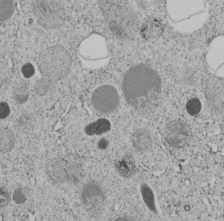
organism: C. elegans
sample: C. elegans embryo early stage